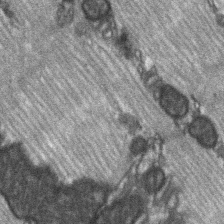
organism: C57BL Mouse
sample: Soleus